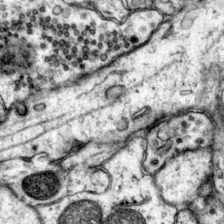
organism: Mouse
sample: Primary visual cortex